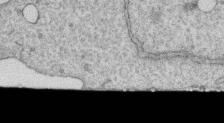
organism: Human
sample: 1205lu cells